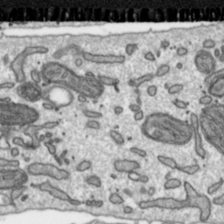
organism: Toxoplasma gondii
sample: Parasites in a vacuole inside a host cell